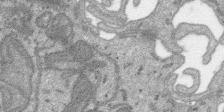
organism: Human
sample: Lung epithelial cells infected with SARS-CoV-2